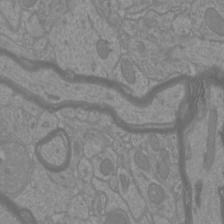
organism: Mouse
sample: Cortical neurons